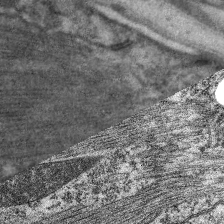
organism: C. elegans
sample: Pharynx